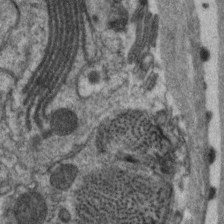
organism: C. elegans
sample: Pharynx